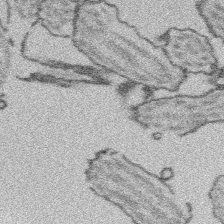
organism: Platynereis dumerilii